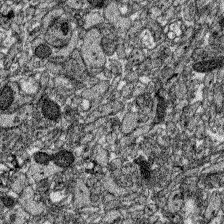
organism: Zebrafish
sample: Larval olfactory bulb